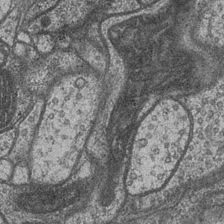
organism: Drosophila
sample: Optic medulla